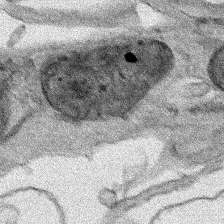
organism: Human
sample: Mitochondria in HCT116 cells